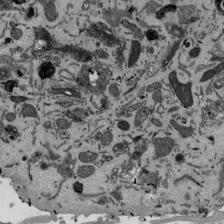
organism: Mouse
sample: ED-1 cell nuclei; centrioles